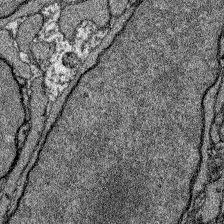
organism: Zebrafish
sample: Larval olfactory bulb